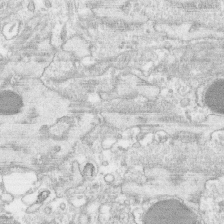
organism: Human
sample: CRL-1474